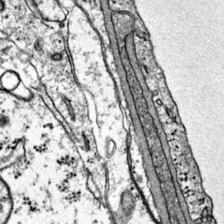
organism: Mouse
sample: Primary visual cortex